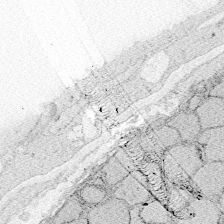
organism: Zebrafish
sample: Whole-Brain